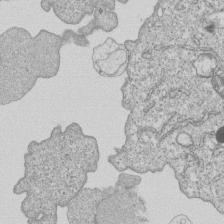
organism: Human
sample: MDA-MB-231 cells